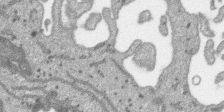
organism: Human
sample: Lung epithelial cells infected with SARS-CoV-2